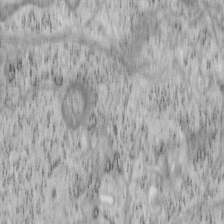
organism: Human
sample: HeLa cells